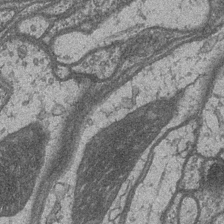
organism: Drosophila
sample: Optic medulla